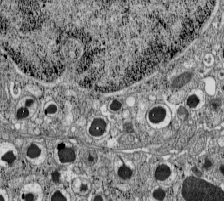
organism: C57BL Mouse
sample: Pancreatic islet